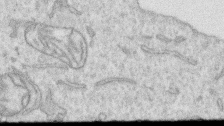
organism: Human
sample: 1205lu cells